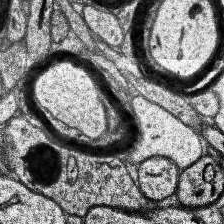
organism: Human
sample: Temporal Lobe